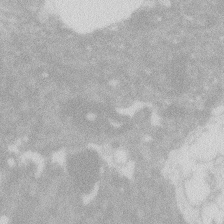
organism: Zebrafish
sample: Macrophage